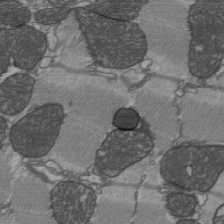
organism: C57BL Mouse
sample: Heart